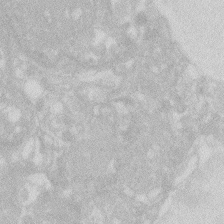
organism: Zebrafish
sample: Macrophage